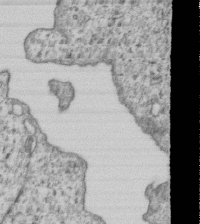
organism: Human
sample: MDA-MB-231 cells